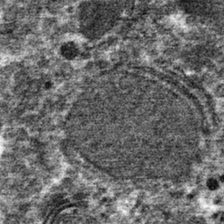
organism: Mouse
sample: Mouse hepatocytes